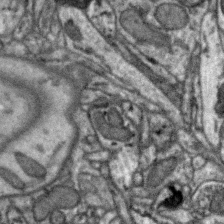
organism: Zebra finch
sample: Brain